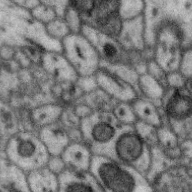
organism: Zebra finch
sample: Brain